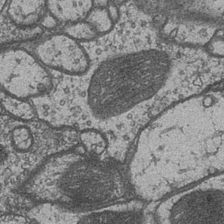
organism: Drosophila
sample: Optic medulla